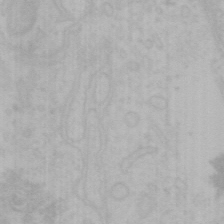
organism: Mouse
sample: Choroid plexus